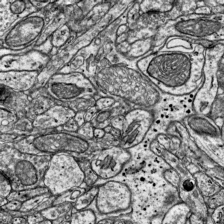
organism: Mouse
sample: Visual Cortex